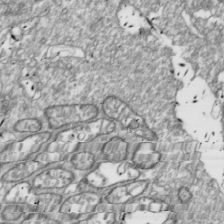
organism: Drosophila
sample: Cell division; meiosis; drosophila spermatocytes